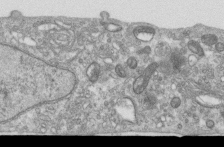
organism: Human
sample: Centriole in RPE cells